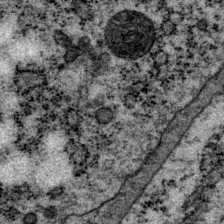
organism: P. pacificus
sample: Pharynx